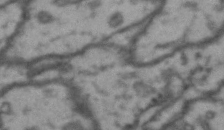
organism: Drosophila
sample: Brain